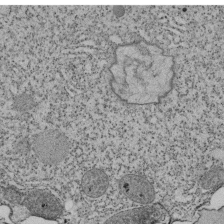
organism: Tetrahymena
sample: Cilia in tetrahymena